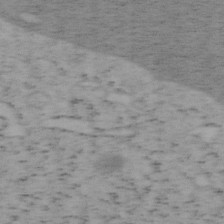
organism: Mouse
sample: OT-I killer T cells with ID8 ovarian cancer cells